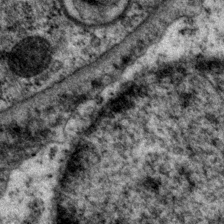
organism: P. pacificus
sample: Pharynx